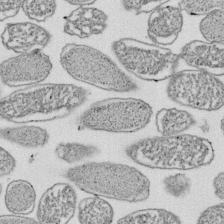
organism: E. coli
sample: Bacterial nucleoid